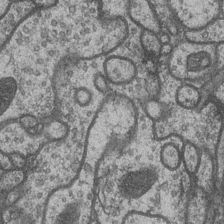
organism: Drosophila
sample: Optic medulla